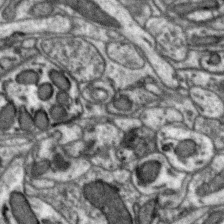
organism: Zebra finch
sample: Brain